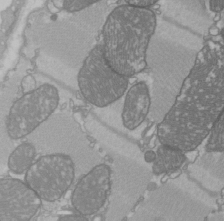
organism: C57BL Mouse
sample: Heart